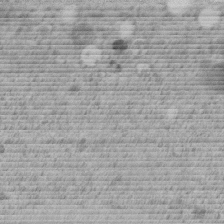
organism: C. elegans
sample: C. elegans embryo early stage